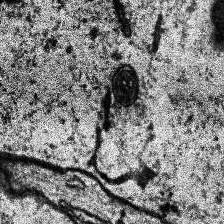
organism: Human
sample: Temporal Lobe